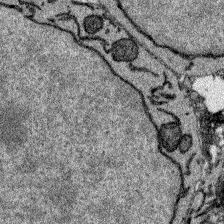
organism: Zebrafish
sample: Larval olfactory bulb